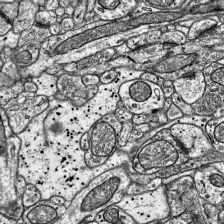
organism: Mouse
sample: Visual Cortex